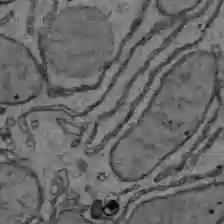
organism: C57BL Mouse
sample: Liver